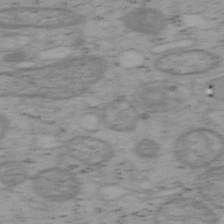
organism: Mouse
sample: OT-I killer T cells with ID8 ovarian cancer cells